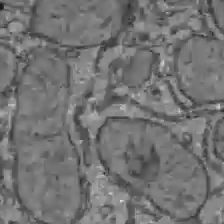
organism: C57BL Mouse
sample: Liver